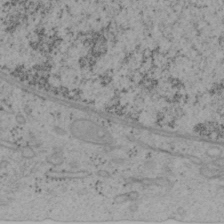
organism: Human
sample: HeLa cells